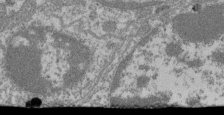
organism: Mouse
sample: Glomerulus